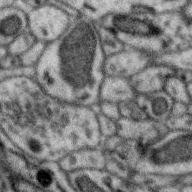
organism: Zebra finch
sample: Brain